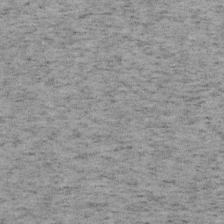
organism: Mouse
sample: OT-I killer T cells with ID8 ovarian cancer cells